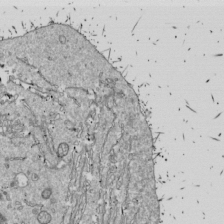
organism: Drosophila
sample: Cell division; meiosis; drosophila spermatocytes